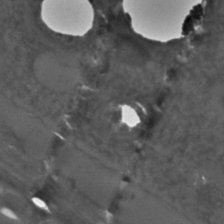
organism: C. elegans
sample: C. elegans embryo